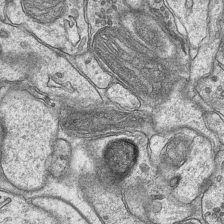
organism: Mouse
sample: CA1 Hippocampus